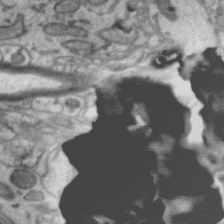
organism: Zebra finch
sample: Brain